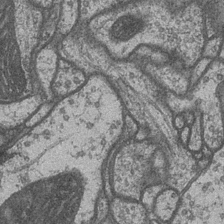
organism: Drosophila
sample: Optic medulla